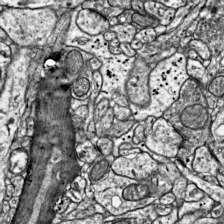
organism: Mouse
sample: Visual Cortex